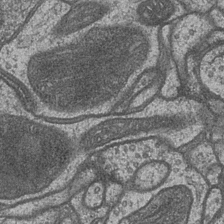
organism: Drosophila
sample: Optic medulla